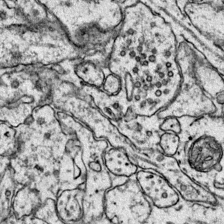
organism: Mouse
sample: Primary visual cortex